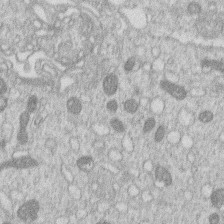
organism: Human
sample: Macrophage cells